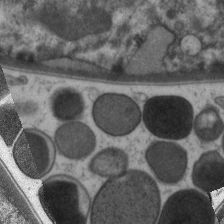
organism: C. elegans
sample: Pharynx